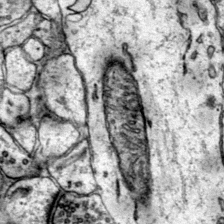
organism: Mouse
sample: Primary visual cortex